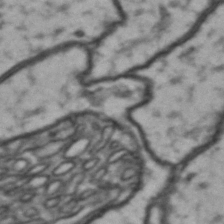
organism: Drosophila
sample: Brain